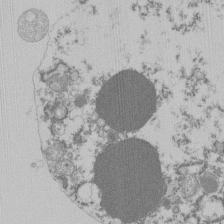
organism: Mouse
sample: Activated Pmel transgenic CD8+ T Cells